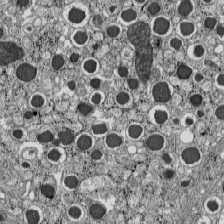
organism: C57BL Mouse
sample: Pancreatic islet